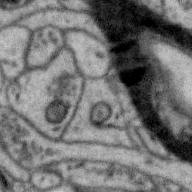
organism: Zebra finch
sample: Brain